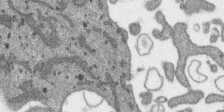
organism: Human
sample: Lung epithelial cells infected with SARS-CoV-2